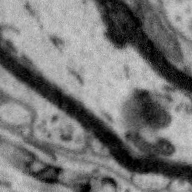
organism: Zebra finch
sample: Brain